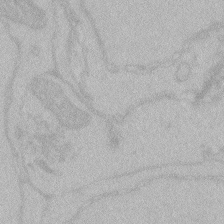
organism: Zebrafish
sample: Macrophage infected with Toxoplasma gondii